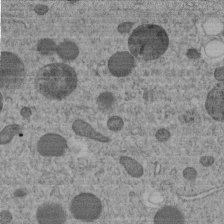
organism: C. elegans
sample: C. elegans embryo early stage